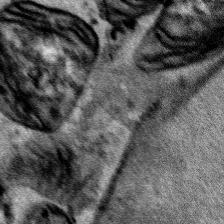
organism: Human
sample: Mitochondria in HCT116 cells